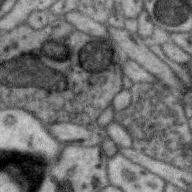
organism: Zebra finch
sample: Brain